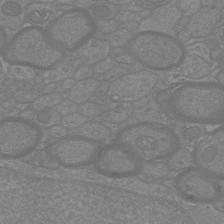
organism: Mouse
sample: Cortical neurons